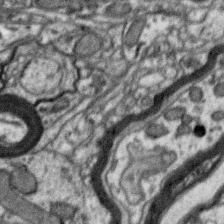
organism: Zebra finch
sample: Brain